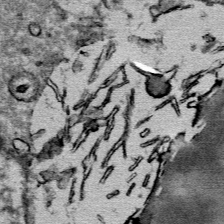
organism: Mouse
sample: Mouse Salivary gland